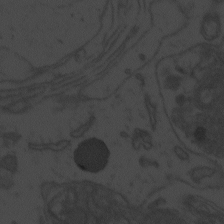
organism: Zebrafish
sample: Macrophage infected with Toxoplasma gondii